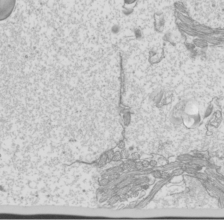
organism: Mouse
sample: Cilia; mouse epididymis